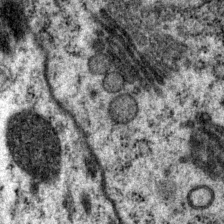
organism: P. pacificus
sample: Pharynx